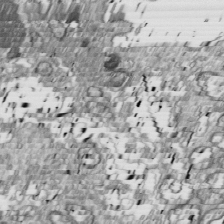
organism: Drosophila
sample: Cell division; meiosis; drosophila spermatocytes